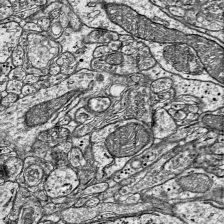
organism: Mouse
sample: Visual Cortex